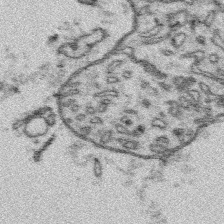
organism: Platynereis dumerilii